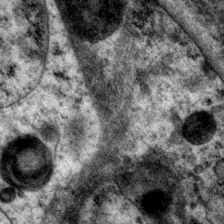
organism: P. pacificus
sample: Pharynx